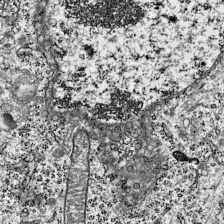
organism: Mouse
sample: Visual Cortex